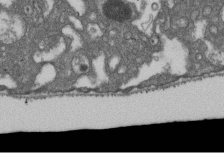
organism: Drosophila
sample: Nephrocyte